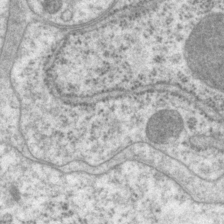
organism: P. pacificus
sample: Pharynx